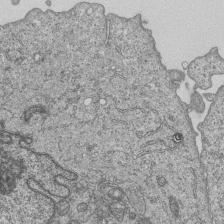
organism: Human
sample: MDA-MB-231 cells